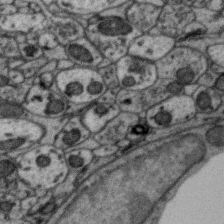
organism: Zebra finch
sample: Brain